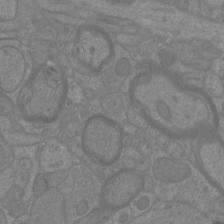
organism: Mouse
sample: Cortical neurons